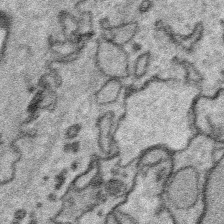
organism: Platynereis dumerilii